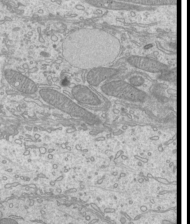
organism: Mouse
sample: Cilia; mouse epididymis